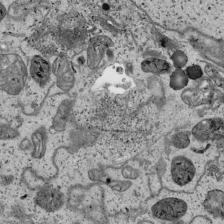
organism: Human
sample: Mitochondria in HCT116 cells